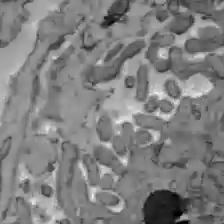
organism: C57BL Mouse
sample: Liver